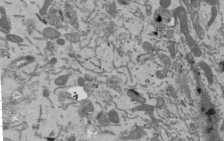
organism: Mouse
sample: ED-1 cell nuclei; centrioles